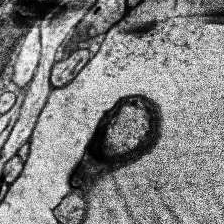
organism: Human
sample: Temporal Lobe